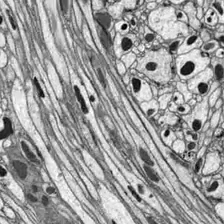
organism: Drosophila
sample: Optic lobe